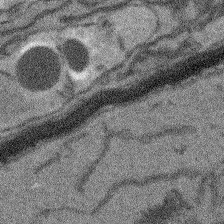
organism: Arabidopsis thaliana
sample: Root tip